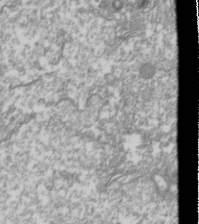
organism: Drosophila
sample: Cell division; meiosis; drosophila spermatocytes